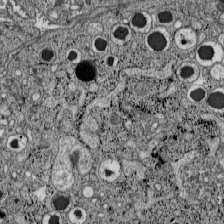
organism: C57BL Mouse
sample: Pancreatic islet